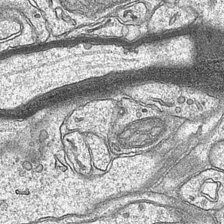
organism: Mouse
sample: CA1 Hippocampus